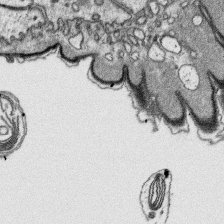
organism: Platynereis dumerilii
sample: Parapodia